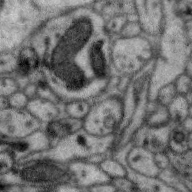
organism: Zebra finch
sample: Brain